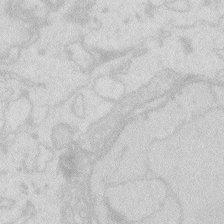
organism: Zebrafish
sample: Macrophage